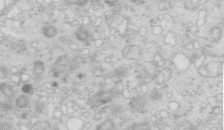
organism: Mouse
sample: Multiciliated cells